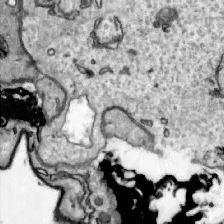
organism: Zebrafish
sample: Actinotrichia fibers